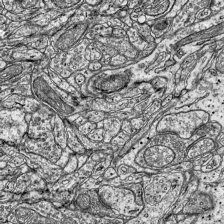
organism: Mouse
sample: Visual Cortex